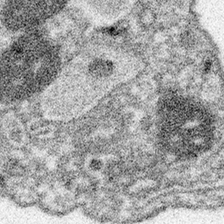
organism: Spongilla lacustris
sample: Neuroid cell